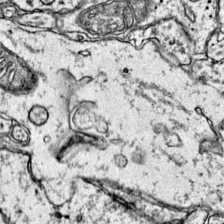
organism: Mouse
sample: Primary visual cortex